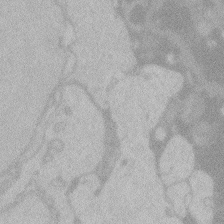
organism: Zebrafish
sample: Macrophage infected with Toxoplasma gondii